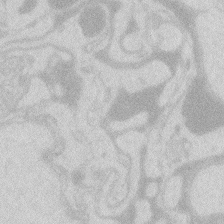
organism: Zebrafish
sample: Macrophage